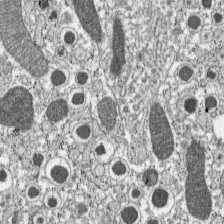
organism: C57BL Mouse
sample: Pancreatic islet